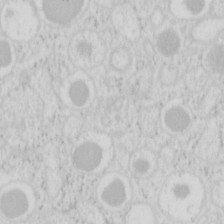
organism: Mouse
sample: Pancreas